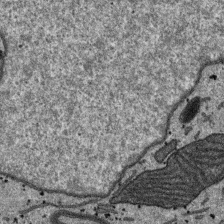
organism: Human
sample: Lung epithelial cells, uninfected (mock) control